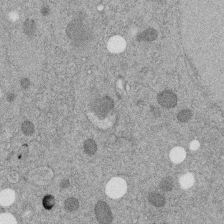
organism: C. elegans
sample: C. elegans embryo early stage